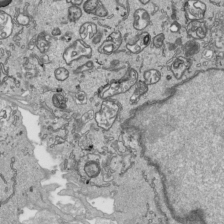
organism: Human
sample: Mitochondria in HCT116 cells